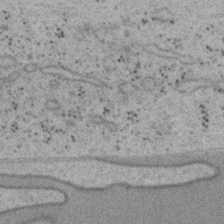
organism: Human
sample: HeLa cells